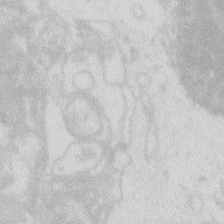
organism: Zebrafish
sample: Macrophage